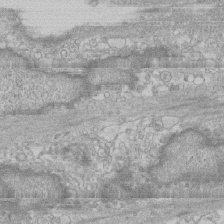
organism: Human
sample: CRL-1474